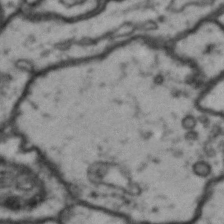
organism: Drosophila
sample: Brain